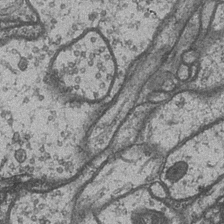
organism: Drosophila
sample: Optic medulla